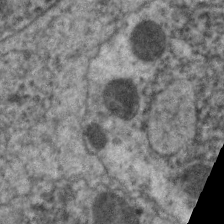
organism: C. elegans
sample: Pharynx